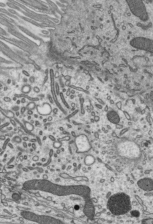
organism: Mouse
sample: Mouse epididymis efferent ductule cilia